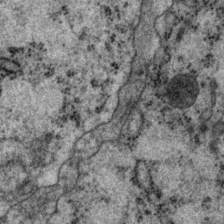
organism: P. pacificus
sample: Pharynx